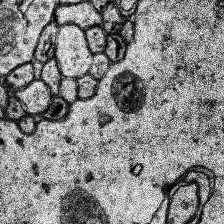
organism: Human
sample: Temporal Lobe